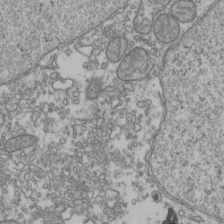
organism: Human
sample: Activated Jurkat CD4+ T cells